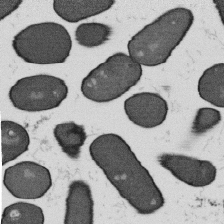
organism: B. subtilis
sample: Bacterial spore